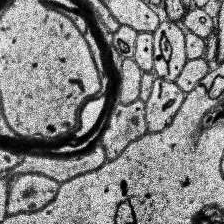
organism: Human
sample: Temporal Lobe